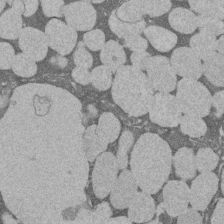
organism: Rat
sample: Salivary granule